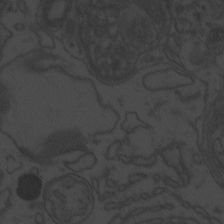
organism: Zebrafish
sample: Macrophage infected with Toxoplasma gondii